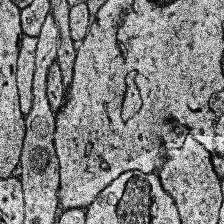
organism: Human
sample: Temporal Lobe